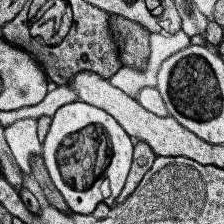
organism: Human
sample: Temporal Lobe